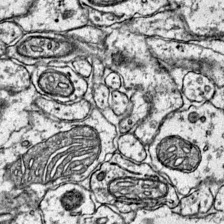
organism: Mouse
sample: Primary visual cortex